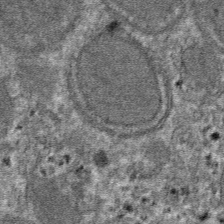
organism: Mouse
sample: Mouse hepatocytes